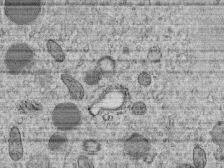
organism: C. elegans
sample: C. elegans embryo early stage